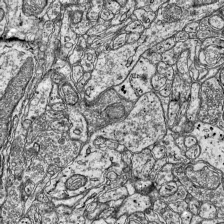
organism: Mouse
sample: Visual Cortex